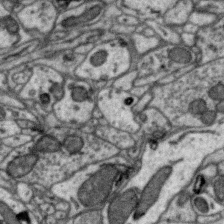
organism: Zebra finch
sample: Brain